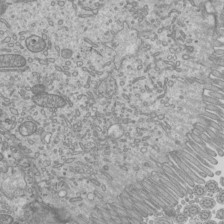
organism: Mouse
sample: Cilia; mouse epididymis